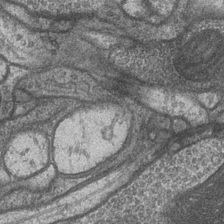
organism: Drosophila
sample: Optic medulla